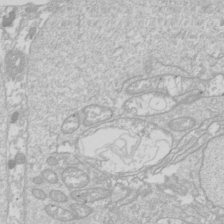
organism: Drosophila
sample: Cell division; meiosis; drosophila spermatocytes